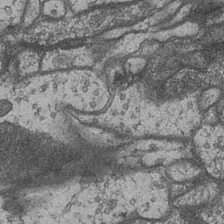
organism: Drosophila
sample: Optic medulla